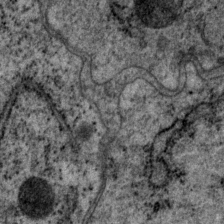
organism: P. pacificus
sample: Pharynx